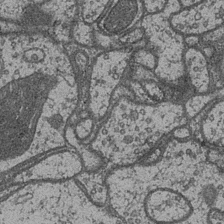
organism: Drosophila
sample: Optic medulla